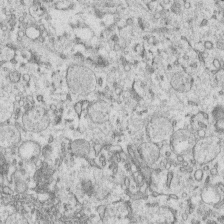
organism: Human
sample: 1205lu cells